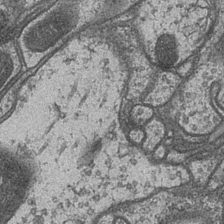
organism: Drosophila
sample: Optic medulla